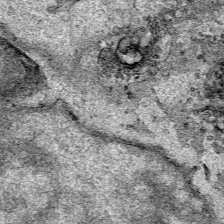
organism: Human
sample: Mitochondria in HCT116 cells